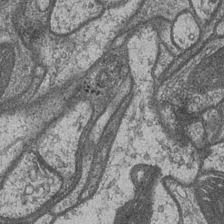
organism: Drosophila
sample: Optic medulla